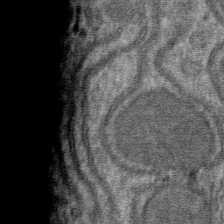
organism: Mouse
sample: Mouse hepatocytes